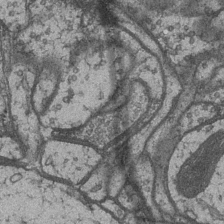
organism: Drosophila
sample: Optic medulla